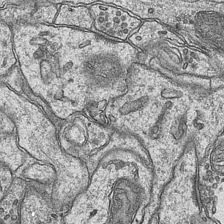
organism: Mouse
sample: CA1 Hippocampus